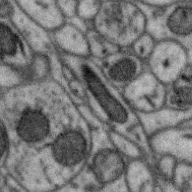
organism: Zebra finch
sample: Brain